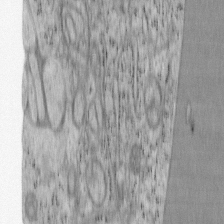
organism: Human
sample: HeLa cells